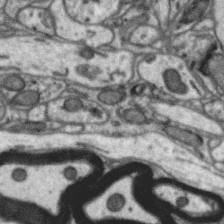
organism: Zebra finch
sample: Brain